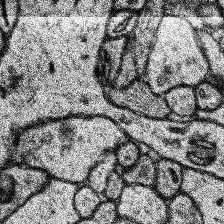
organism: Human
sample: Temporal Lobe